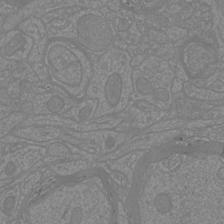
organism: Mouse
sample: Cortical neurons